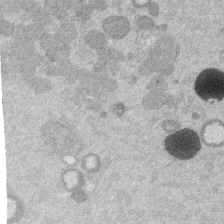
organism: Mouse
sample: Dividing mouse embryo 1 cell stage